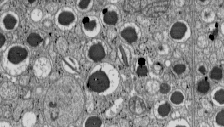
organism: C57BL Mouse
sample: Pancreatic islet